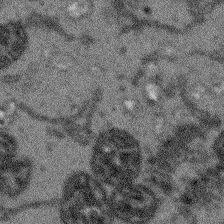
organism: Arabidopsis thaliana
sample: Root tip